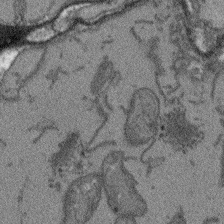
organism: Arabidopsis thaliana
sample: Root tip